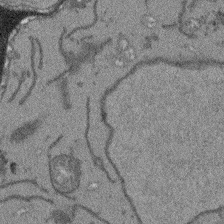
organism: Arabidopsis thaliana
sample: Root tip